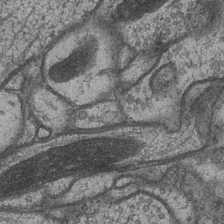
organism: Drosophila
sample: Optic medulla